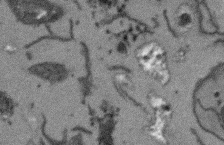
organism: Arabidopsis thaliana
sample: Root tip